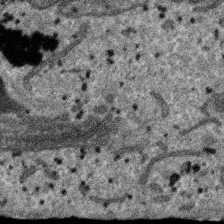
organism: Human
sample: Lung epithelial cells infected with SARS-CoV-2